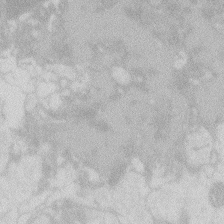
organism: Zebrafish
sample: Macrophage